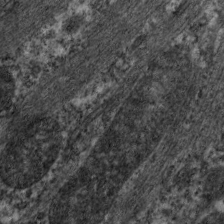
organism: C. elegans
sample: Pharynx